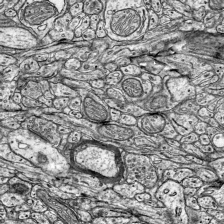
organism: Mouse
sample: Visual Cortex